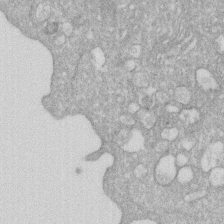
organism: Human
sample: HIV infected U937 cells